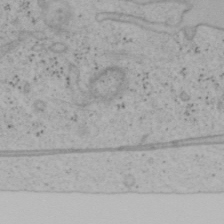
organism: Human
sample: HeLa cells